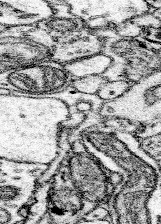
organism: Mouse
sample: Somatosensory cortex neuropil